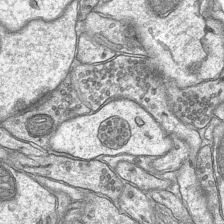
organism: Mouse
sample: CA1 Hippocampus